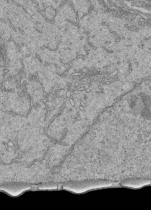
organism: Human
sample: Retinal organoid Rod and Cone cells